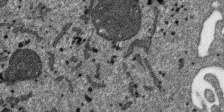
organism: Human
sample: Lung epithelial cells infected with SARS-CoV-2